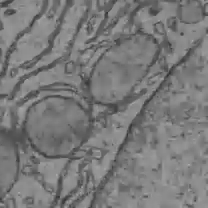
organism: C57BL Mouse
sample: Liver